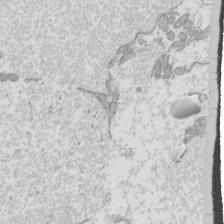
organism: Mouse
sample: Cilia; mouse epididymis